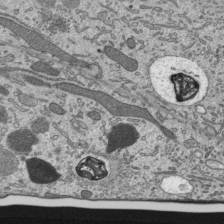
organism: Mouse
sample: Mouse epididymis efferent ductule cilia